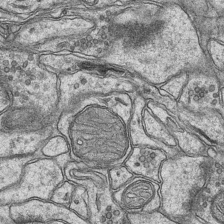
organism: Mouse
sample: CA1 Hippocampus